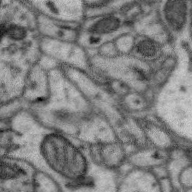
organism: Zebra finch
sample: Brain